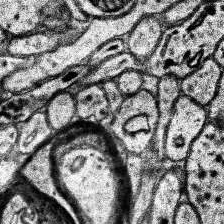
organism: Human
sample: Temporal Lobe